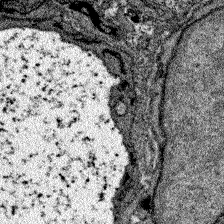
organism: Zebrafish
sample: Larval olfactory bulb